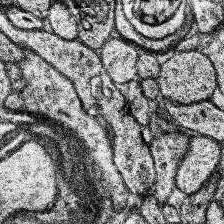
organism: Human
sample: Temporal Lobe